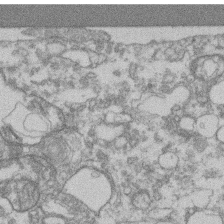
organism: Mouse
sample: T cell stromal cell synapse